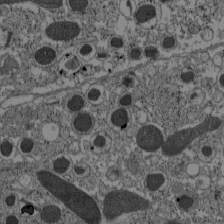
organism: C57BL Mouse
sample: Pancreatic islet